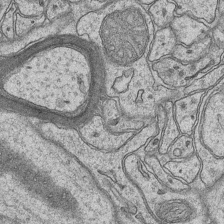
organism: Mouse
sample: CA1 Hippocampus